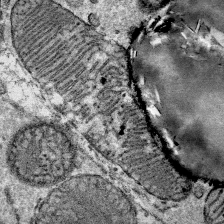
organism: Mouse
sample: Mouse Salivary gland